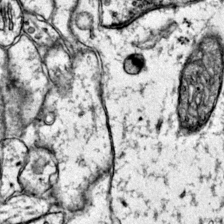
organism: Mouse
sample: Primary visual cortex